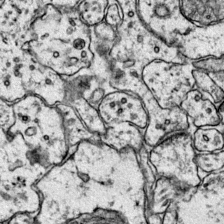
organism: Mouse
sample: Primary visual cortex